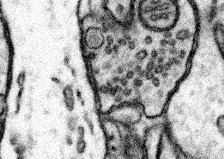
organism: Mouse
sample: Somatosensory cortex neuropil